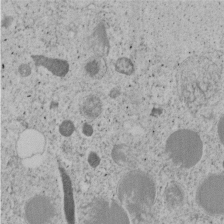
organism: C. elegans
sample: C. elegans embryo early stage